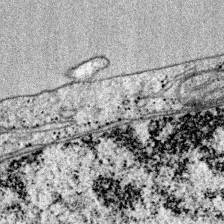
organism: Human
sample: HeLa cells